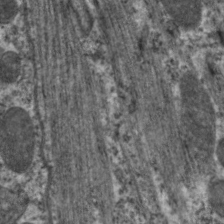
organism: C. elegans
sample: Pharynx